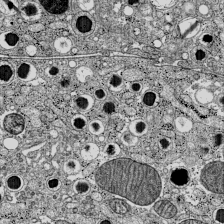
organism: C57BL Mouse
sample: Pancreatic islet